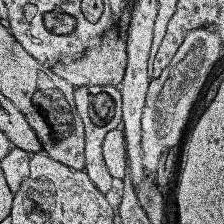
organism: Human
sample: Temporal Lobe